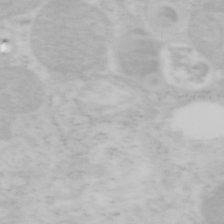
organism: Mouse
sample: OT-I killer T cells with ID8 ovarian cancer cells